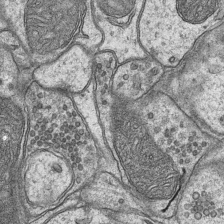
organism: Mouse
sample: CA1 Hippocampus